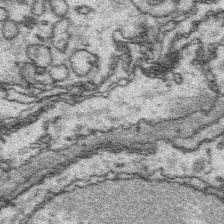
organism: Platynereis dumerilii